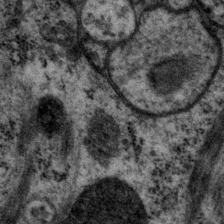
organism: P. pacificus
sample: Pharynx